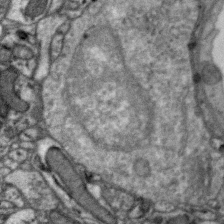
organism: Zebra finch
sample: Brain